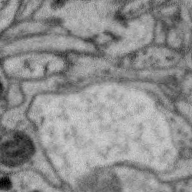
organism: Zebra finch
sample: Brain